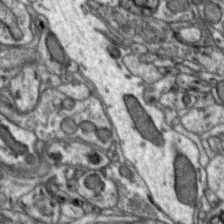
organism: Zebra finch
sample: Brain